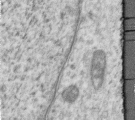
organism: Human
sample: Centriole in RPE cells